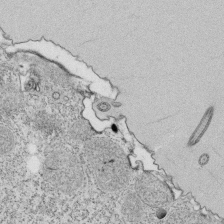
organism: Tetrahymena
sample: Cilia in tetrahymena